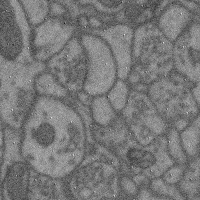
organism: Mouse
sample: Cerebral cortex